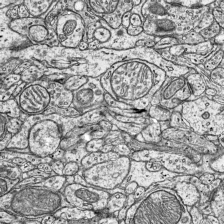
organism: Mouse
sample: Visual Cortex